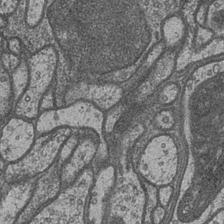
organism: Drosophila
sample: Optic medulla